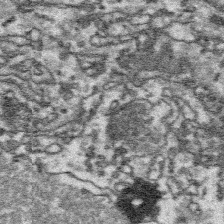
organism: Platynereis dumerilii